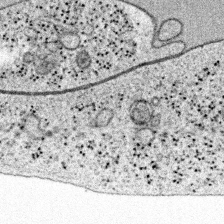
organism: Human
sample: HeLa cells